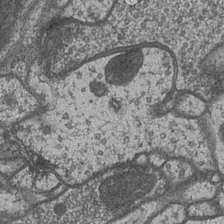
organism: Drosophila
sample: Optic medulla